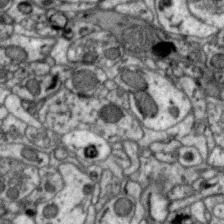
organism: Zebra finch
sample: Brain